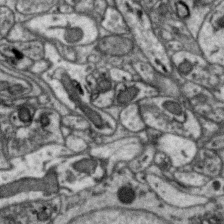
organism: Zebra finch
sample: Brain